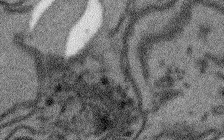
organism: Arabidopsis thaliana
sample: Root tip